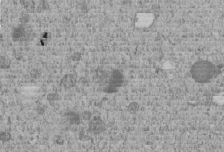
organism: C. elegans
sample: C. elegans embryo early stage